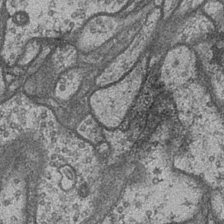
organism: Drosophila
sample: Optic medulla